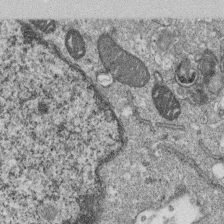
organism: African green monkey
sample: Vero E6 cells infected with SARS-CoV-2